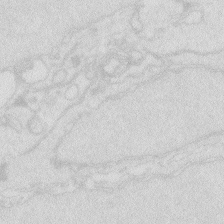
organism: Zebrafish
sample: Macrophage